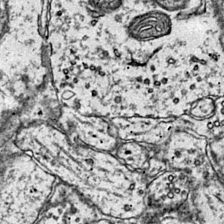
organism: Mouse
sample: Primary visual cortex